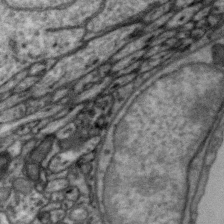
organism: Zebra finch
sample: Brain